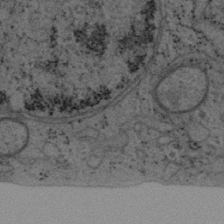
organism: Human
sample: HeLa cells